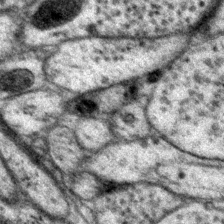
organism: P. pacificus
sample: Pharynx